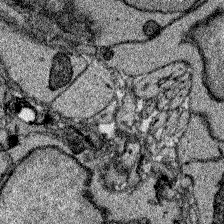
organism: Zebrafish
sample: Larval olfactory bulb